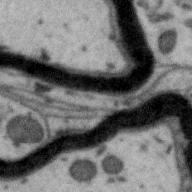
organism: Zebra finch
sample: Brain